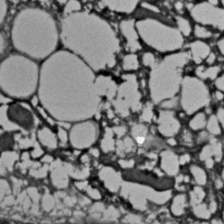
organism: C. elegans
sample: C. elegans embryo